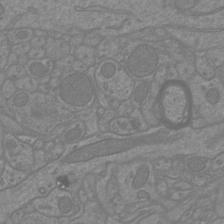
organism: Mouse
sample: Cortical neurons